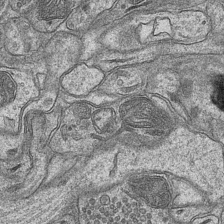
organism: Mouse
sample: CA1 Hippocampus